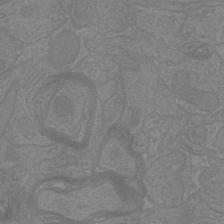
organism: Mouse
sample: Cortical neurons